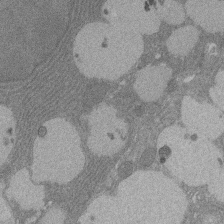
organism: Rat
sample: Salivary granule